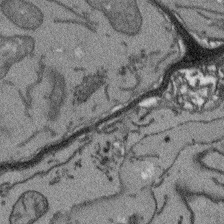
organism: Arabidopsis thaliana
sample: Root tip